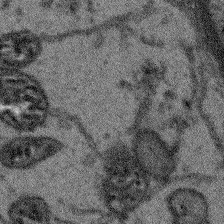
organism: Arabidopsis thaliana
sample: Root tip